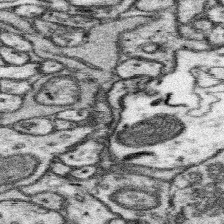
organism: Mouse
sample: Somatosensory cortex neuropil